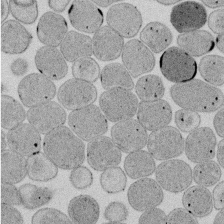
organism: E. coli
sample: Bacterial nucleoid